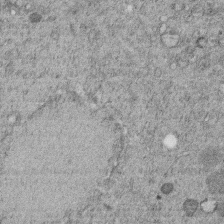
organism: C. elegans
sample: C. elegans embryo early stage